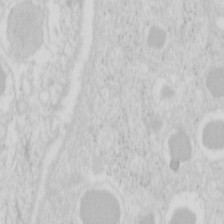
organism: Mouse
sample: Pancreas